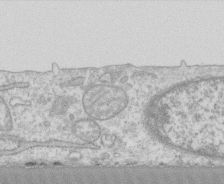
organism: Human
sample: CRL-1474